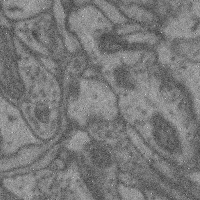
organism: Mouse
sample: Cerebral cortex